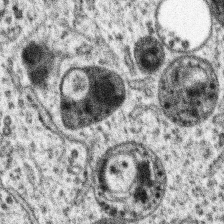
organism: Human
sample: HeLa cells